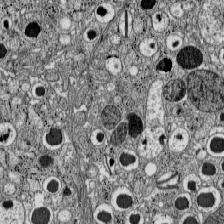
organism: C57BL Mouse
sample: Pancreatic islet